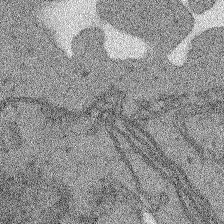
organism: Human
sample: HeLa cells